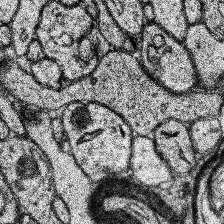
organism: Human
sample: Temporal Lobe